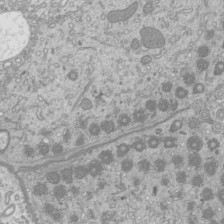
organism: Mouse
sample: Cilia; mouse epididymis